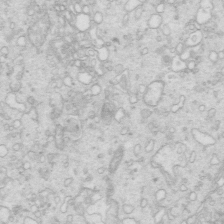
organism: Mouse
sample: Multiciliated cells